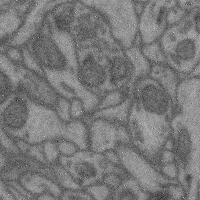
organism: Mouse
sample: Cerebral cortex